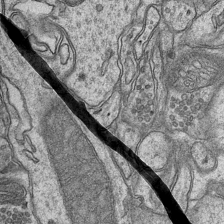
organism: Mouse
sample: CA1 Hippocampus